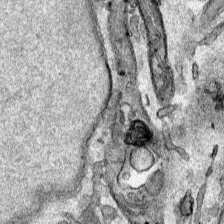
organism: Human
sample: Mitochondria in HCT116 cells